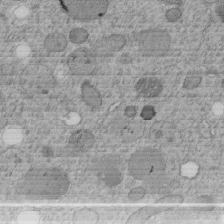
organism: C. elegans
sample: C. elegans embryo early stage